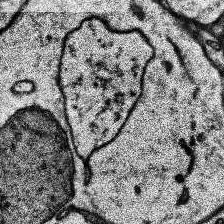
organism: Human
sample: Temporal Lobe